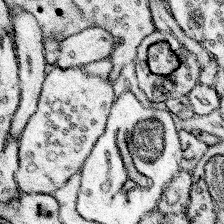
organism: Mouse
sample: Somatosensory cortex neuropil